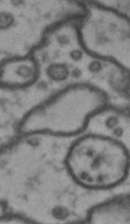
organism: Drosophila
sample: Brain